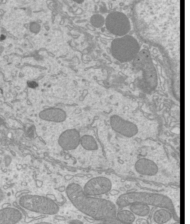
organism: Mouse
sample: Cilia; mouse epididymis